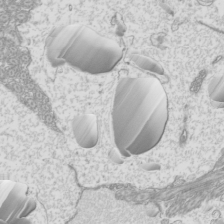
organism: Mouse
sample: Cilia; mouse epididymis